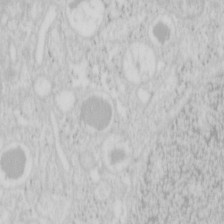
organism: Mouse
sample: Pancreas